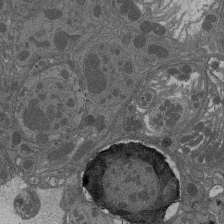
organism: Drosophila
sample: Antenna